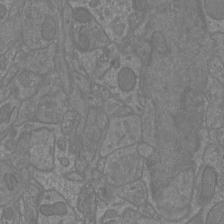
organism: Mouse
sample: Cortical neurons